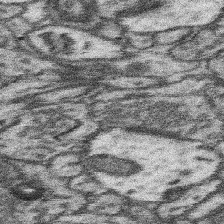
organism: Mouse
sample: Somatosensory cortex neuropil